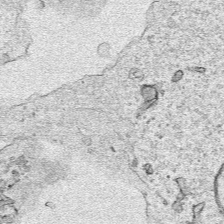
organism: Human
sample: Mitochondria in HCT116 cells